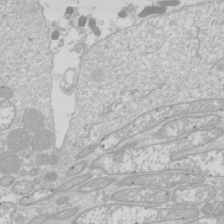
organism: Drosophila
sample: Cell division; meiosis; drosophila spermatocytes